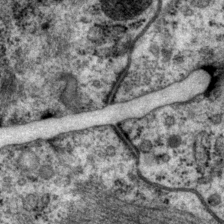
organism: P. pacificus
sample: Pharynx